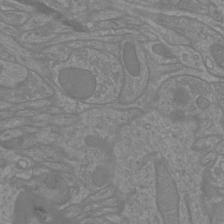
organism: Mouse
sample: Cortical neurons